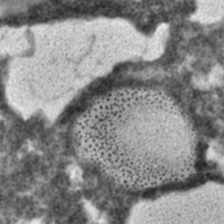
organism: C. elegans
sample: C. elegans embryo